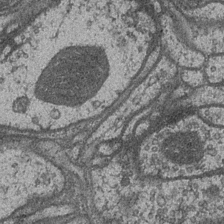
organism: Drosophila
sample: Optic medulla